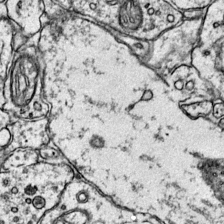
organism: Mouse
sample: Primary visual cortex